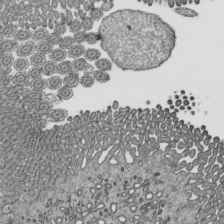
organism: Mouse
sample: Mouse epididymis efferent ductule cilia